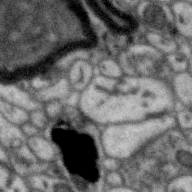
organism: Zebra finch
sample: Brain